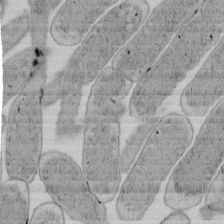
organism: E. coli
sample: Bacterial nucleoid